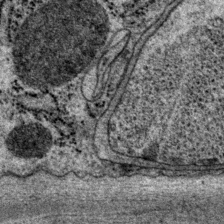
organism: P. pacificus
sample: Pharynx